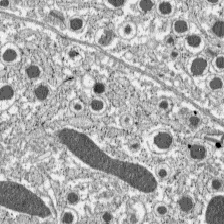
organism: C57BL Mouse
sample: Pancreatic islet